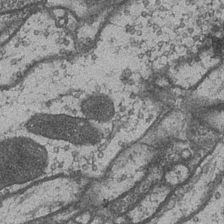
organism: Drosophila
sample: Optic medulla